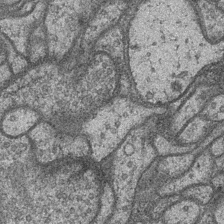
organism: Drosophila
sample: Optic medulla